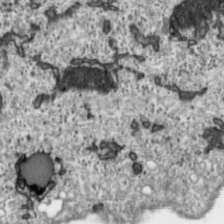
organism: Toxoplasma gondii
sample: Parasites in a vacuole inside a host cell